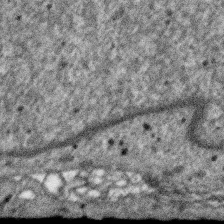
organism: Human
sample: Lung epithelial cells infected with SARS-CoV-2